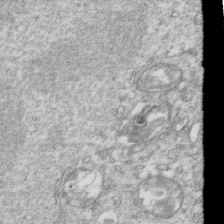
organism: Mouse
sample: Activated OT-1 CD8+ T cells